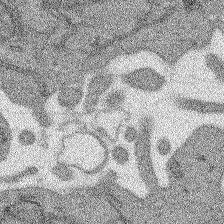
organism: Human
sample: HeLa cells